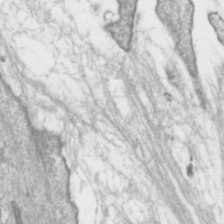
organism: Toxoplasma gondii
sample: Parasites in a vacuole inside a host cell